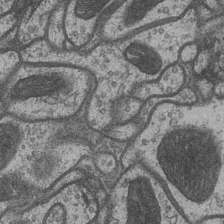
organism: Drosophila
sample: Optic medulla